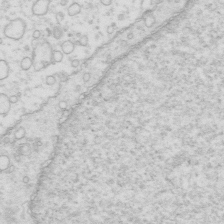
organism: Mouse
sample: Multiciliated cells